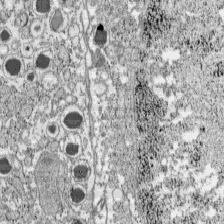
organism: C57BL Mouse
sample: Pancreatic islet